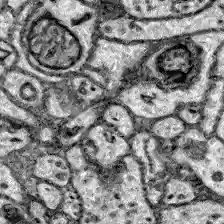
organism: Zebrafish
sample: Brain